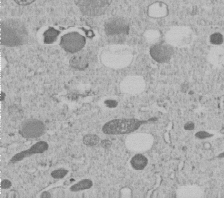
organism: C. elegans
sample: C. elegans embryo early stage